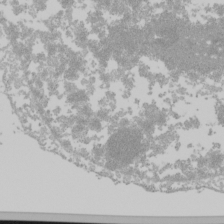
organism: Mouse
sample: Cancer cell death in ED-1 cells